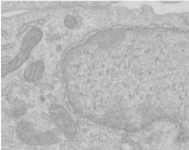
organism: Human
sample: Centriole in RPE cells